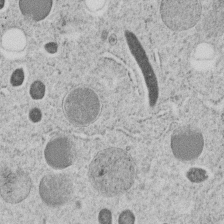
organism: C. elegans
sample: C. elegans embryo early stage